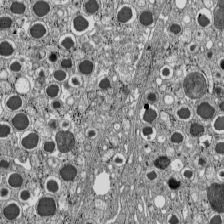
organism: C57BL Mouse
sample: Pancreatic islet